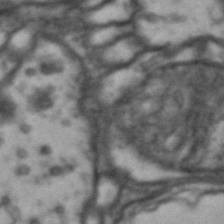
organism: Drosophila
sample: Brain